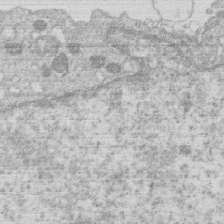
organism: Human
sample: Macrophage cells